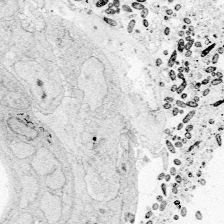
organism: Zebrafish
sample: Whole-Brain